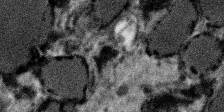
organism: Human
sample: Lung epithelial cells infected with SARS-CoV-2